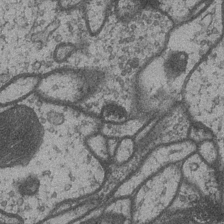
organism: Drosophila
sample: Optic medulla